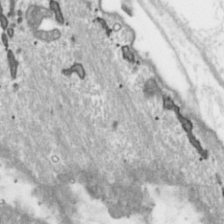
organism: Toxoplasma gondii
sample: Parasites in a vacuole inside a host cell